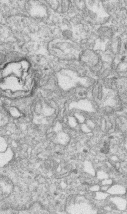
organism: Human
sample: HeLa cell HIV synapse